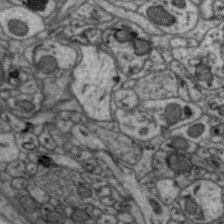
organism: Zebra finch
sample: Brain